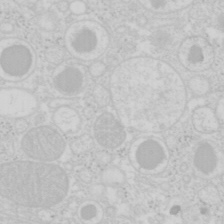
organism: Mouse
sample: Pancreas